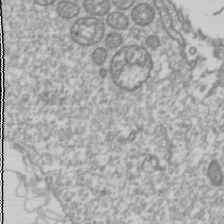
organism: Drosophila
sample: Cell division; meiosis; drosophila spermatocytes